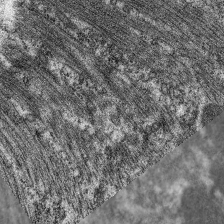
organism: C. elegans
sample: Pharynx